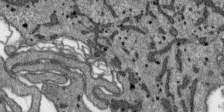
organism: Human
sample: Lung epithelial cells, uninfected (mock) control